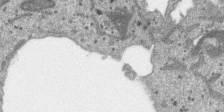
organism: Human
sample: Lung epithelial cells infected with SARS-CoV-2